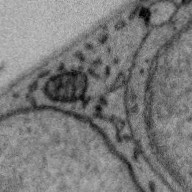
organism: Zebra finch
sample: Brain